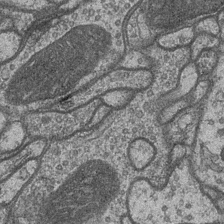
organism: Drosophila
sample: Optic medulla